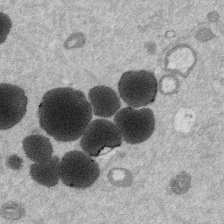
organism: Mouse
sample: Dividing mouse embryo 1 cell stage